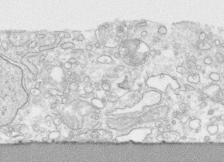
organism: Human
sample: CRL-1474